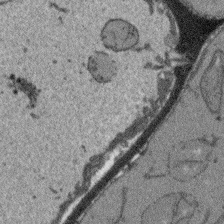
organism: Arabidopsis thaliana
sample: Root tip